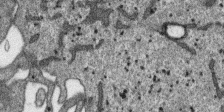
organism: Human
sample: Lung epithelial cells infected with SARS-CoV-2